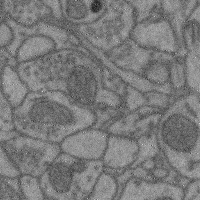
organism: Mouse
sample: Cerebral cortex